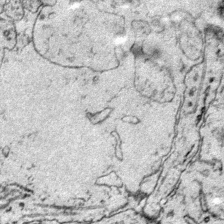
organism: Mouse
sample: Primary visual cortex